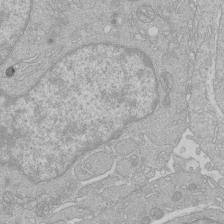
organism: Human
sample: Macrophage cells